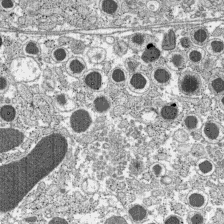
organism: C57BL Mouse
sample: Pancreatic islet